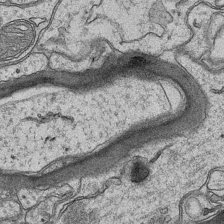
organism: Mouse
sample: CA1 Hippocampus